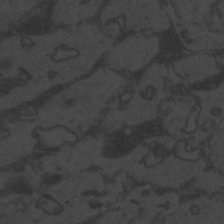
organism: Zebrafish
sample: Macrophage infected with Toxoplasma gondii